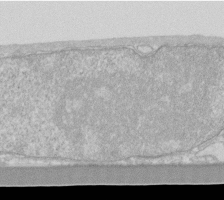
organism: Human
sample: Fibroblast cells